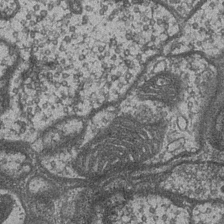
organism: Drosophila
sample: Optic medulla